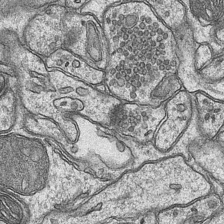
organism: Mouse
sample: CA1 Hippocampus